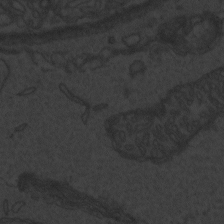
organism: Zebrafish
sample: Macrophage infected with Toxoplasma gondii